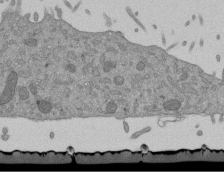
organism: Mouse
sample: ED-1 cell nuclei; centrioles